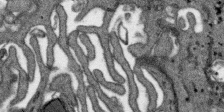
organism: Human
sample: Lung epithelial cells, uninfected (mock) control